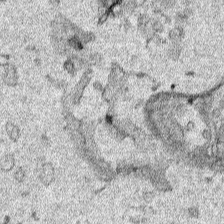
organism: Human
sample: Mitochondria in HCT116 cells